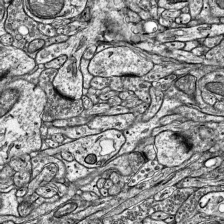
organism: Mouse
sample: Visual Cortex